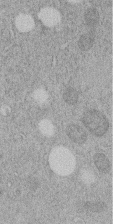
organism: C. elegans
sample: C. elegans embryo early stage